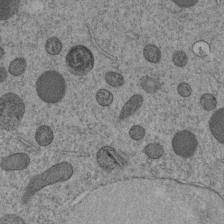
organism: C. elegans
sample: C. elegans embryo early stage